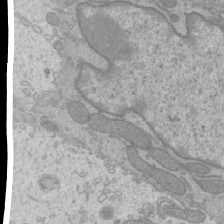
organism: Mouse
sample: Cilia; mouse epididymis